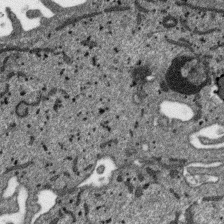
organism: Human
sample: Lung epithelial cells infected with SARS-CoV-2